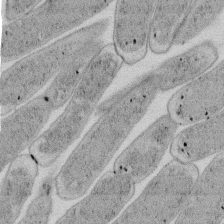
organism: E. coli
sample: Bacterial nucleoid